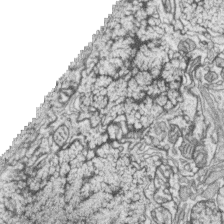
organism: Zebrafish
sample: synaptic ribbons in rod cells and cone cells